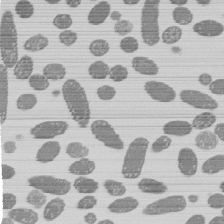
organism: E. coli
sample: Bacterial nucleoid